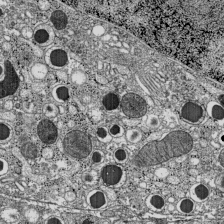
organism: C57BL Mouse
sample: Pancreatic islet